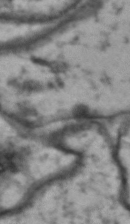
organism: Drosophila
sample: Brain